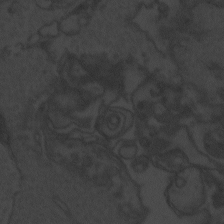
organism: Zebrafish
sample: Macrophage infected with Toxoplasma gondii